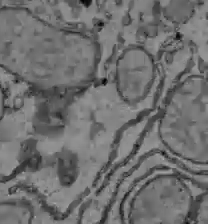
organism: C57BL Mouse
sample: Liver